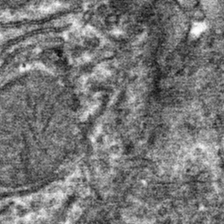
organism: Mouse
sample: Mouse hepatocytes